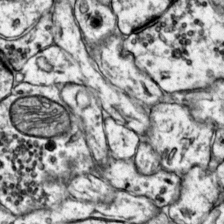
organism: Mouse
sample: Primary visual cortex